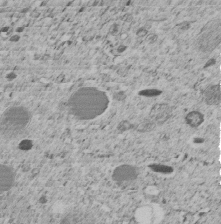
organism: C. elegans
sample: C. elegans embryo early stage